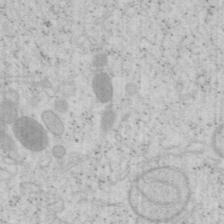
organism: Human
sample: HeLa cells